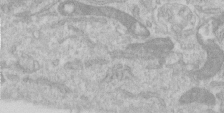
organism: Human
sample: Centriole in RPE cells